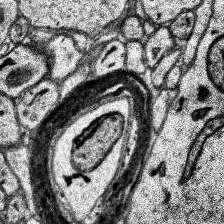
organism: Human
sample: Temporal Lobe